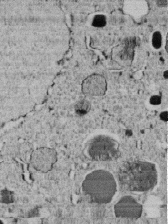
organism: C. elegans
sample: C. elegans embryo early stage